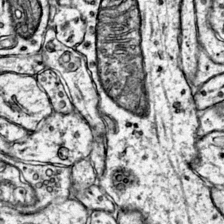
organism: Mouse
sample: Primary visual cortex